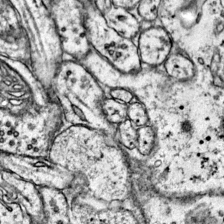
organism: Mouse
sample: Primary visual cortex